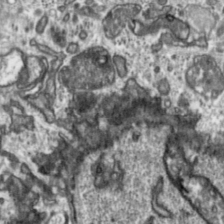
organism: Toxoplasma gondii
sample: Parasites in a vacuole inside a host cell